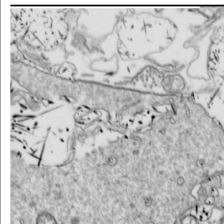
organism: Drosophila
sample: Cell division; meiosis; drosophila spermatocytes